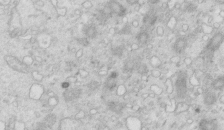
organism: Mouse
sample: Multiciliated cells